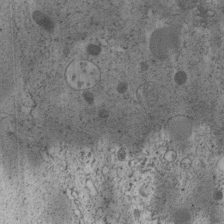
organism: C. elegans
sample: C. elegans embryo early stage